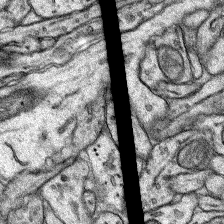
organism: Rat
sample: Hippocampus